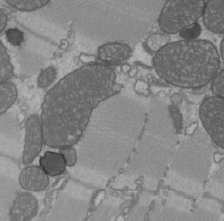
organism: C57BL Mouse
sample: Heart